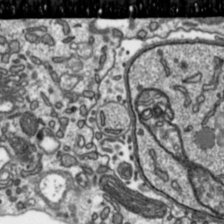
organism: Toxoplasma gondii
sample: Parasites in a vacuole inside a host cell